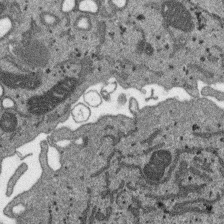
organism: Human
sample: Lung epithelial cells infected with SARS-CoV-2